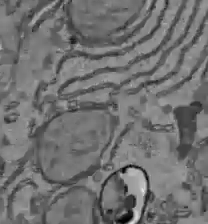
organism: C57BL Mouse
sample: Liver